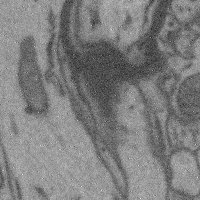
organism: Mouse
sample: Cerebral cortex